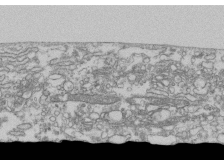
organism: Human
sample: Fibroblast cells